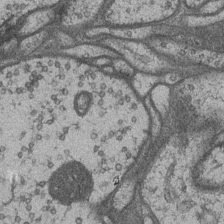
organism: Drosophila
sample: Optic medulla